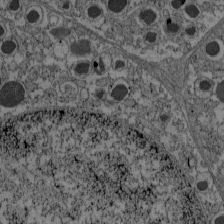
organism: C57BL Mouse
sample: Pancreatic islet